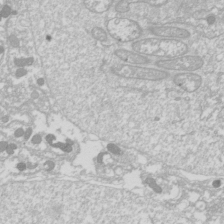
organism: Drosophila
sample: Cell division; meiosis; drosophila spermatocytes